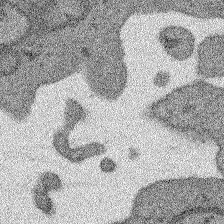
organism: Human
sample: HeLa cells